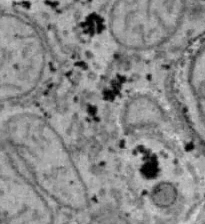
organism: Mouse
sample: Liver from an obese (ob/ob) mouse